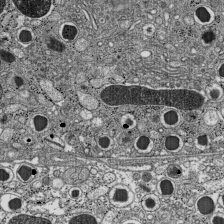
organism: C57BL Mouse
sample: Pancreatic islet